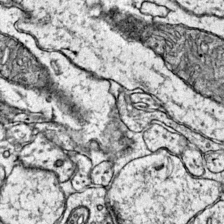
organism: Mouse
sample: Primary visual cortex